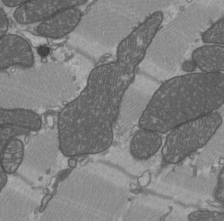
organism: C57BL Mouse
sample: Heart